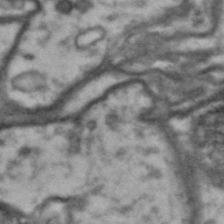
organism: Drosophila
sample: Brain